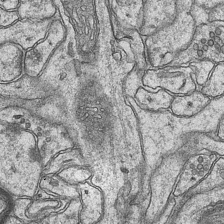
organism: Mouse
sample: CA1 Hippocampus